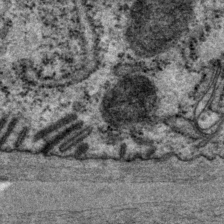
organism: P. pacificus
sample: Pharynx